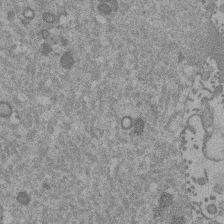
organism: Mouse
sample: Dividing mouse embryo 1 cell stage